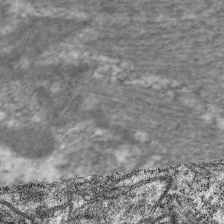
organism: C. elegans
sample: Pharynx